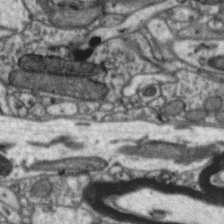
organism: Zebra finch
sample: Brain